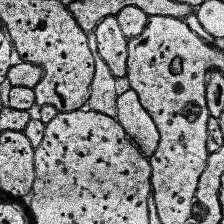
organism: Human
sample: Temporal Lobe